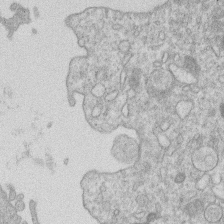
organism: Human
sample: Macrophage cells